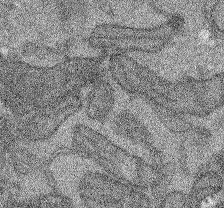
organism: Human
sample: HeLa cells